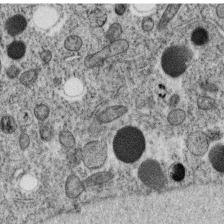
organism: C. elegans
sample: C. elegans oocyte; sperm cells